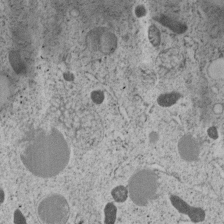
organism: C. elegans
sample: C. elegans embryo early stage